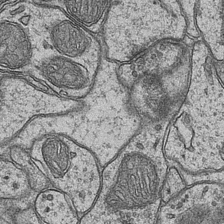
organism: Mouse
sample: CA1 Hippocampus